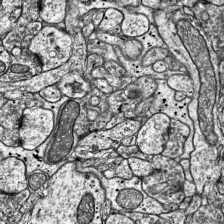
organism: Mouse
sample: Visual Cortex